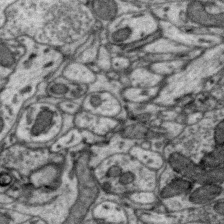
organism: Zebra finch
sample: Brain